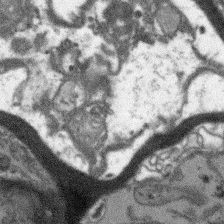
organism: Arabidopsis thaliana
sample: Root tip